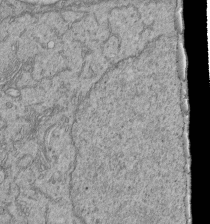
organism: Human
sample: Retinal organoid Rod and Cone cells